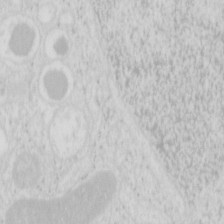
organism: Mouse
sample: Pancreas